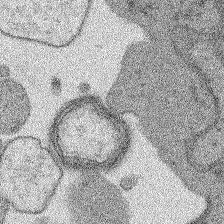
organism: Human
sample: HeLa cells